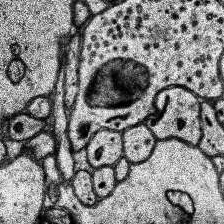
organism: Human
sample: Temporal Lobe